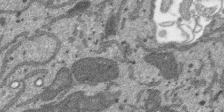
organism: Human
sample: Lung epithelial cells infected with SARS-CoV-2